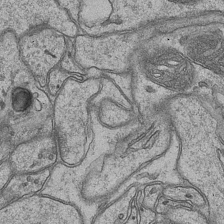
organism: Mouse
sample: CA1 Hippocampus